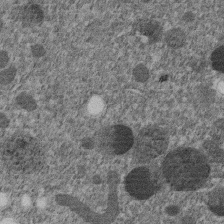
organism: C. elegans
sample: C. elegans embryo early stage